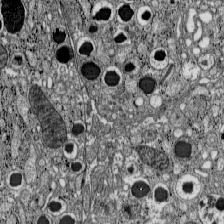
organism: C57BL Mouse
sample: Pancreatic islet